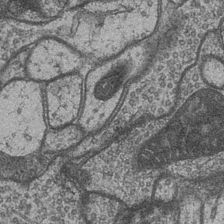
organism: Drosophila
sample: Optic medulla